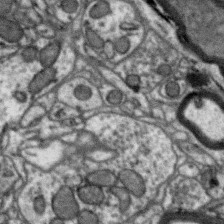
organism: Zebra finch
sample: Brain